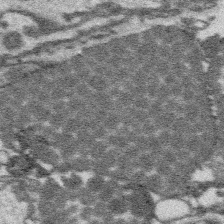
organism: Platynereis dumerilii